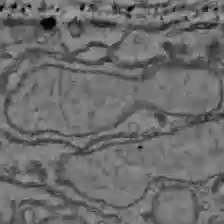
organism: C57BL Mouse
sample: Liver